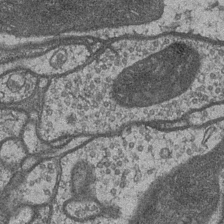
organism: Drosophila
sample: Optic medulla